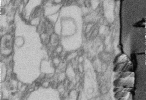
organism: Human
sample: Centriole in fibroblast cells